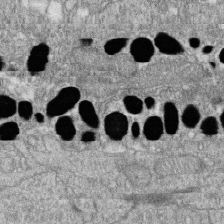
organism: Zebrafish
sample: Cilia; retinal pigment epithelium